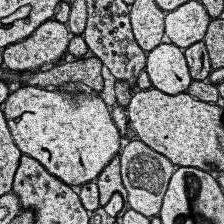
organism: Human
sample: Temporal Lobe